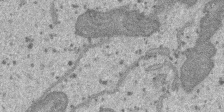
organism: Human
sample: Lung epithelial cells infected with SARS-CoV-2